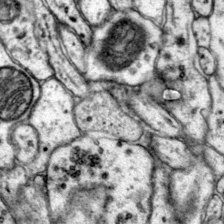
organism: Mouse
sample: Primary visual cortex